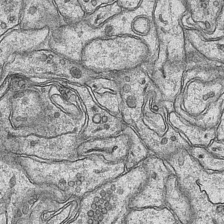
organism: Mouse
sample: CA1 Hippocampus